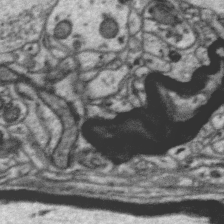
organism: Zebra finch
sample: Brain